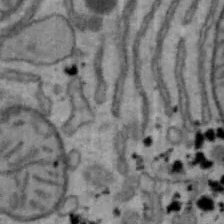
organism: Mouse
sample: Liver